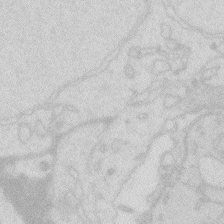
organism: Zebrafish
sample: Macrophage